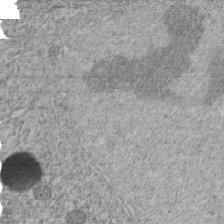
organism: C. elegans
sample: C. elegans embryo early stage